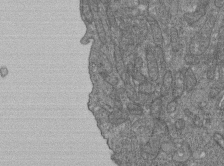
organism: Human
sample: Retinal organoid Rod and Cone cells